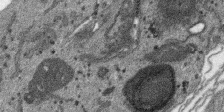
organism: Human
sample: Lung epithelial cells infected with SARS-CoV-2